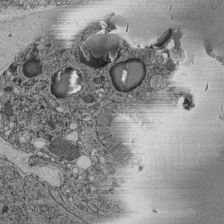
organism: C. elegans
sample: C. elegans pharynx